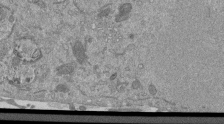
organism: Mouse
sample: ED-1 cell nuclei; centrioles